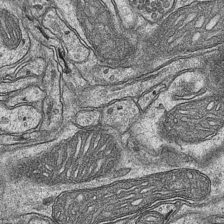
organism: Mouse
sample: CA1 Hippocampus